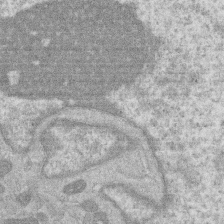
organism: Human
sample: Macrophage cells